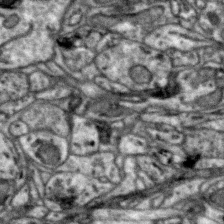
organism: Zebra finch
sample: Brain